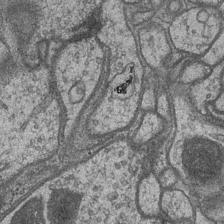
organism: Drosophila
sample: Optic medulla